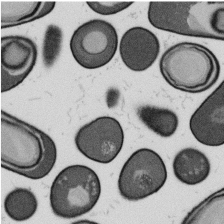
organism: B. subtilis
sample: Bacterial spore